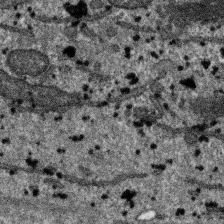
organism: Human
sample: Lung epithelial cells infected with SARS-CoV-2